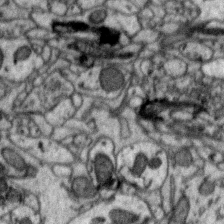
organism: Zebra finch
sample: Brain